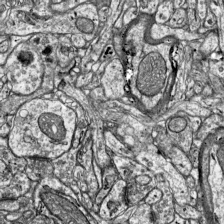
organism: Mouse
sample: Visual Cortex